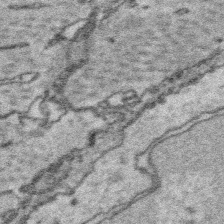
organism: Platynereis dumerilii